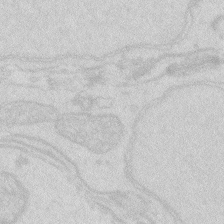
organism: Zebrafish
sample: Macrophage